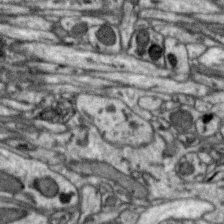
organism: Zebra finch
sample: Brain